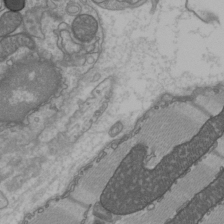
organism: C57BL Mouse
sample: Heart